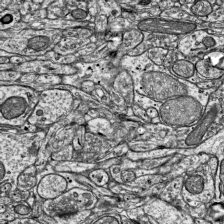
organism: Mouse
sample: Visual Cortex